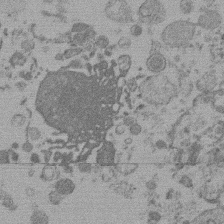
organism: Mouse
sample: Dividing mouse embryo 1 cell stage